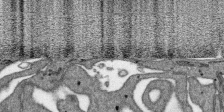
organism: Human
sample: Lung epithelial cells, uninfected (mock) control